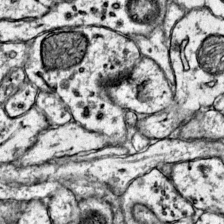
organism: Mouse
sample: Primary visual cortex